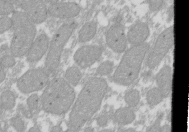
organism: Xenopus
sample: Cilia; centrioles in frog embryo cells